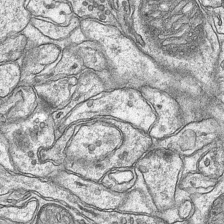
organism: Mouse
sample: CA1 Hippocampus